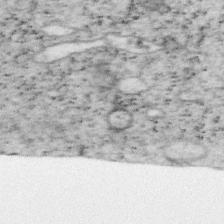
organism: Mouse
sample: OT-I killer T cells with ID8 ovarian cancer cells